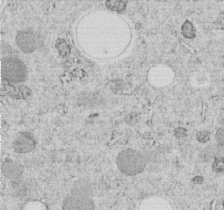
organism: C. elegans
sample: C. elegans embryo early stage